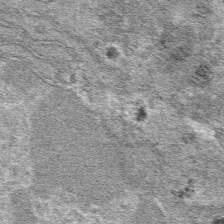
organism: Mouse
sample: Mouse hepatocytes